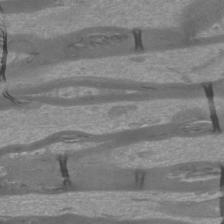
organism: Mouse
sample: Cortical neurons